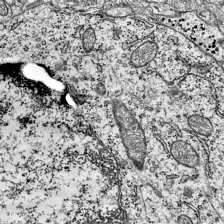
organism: Mouse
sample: Visual Cortex